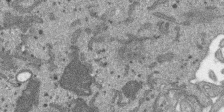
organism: Human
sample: Lung epithelial cells infected with SARS-CoV-2